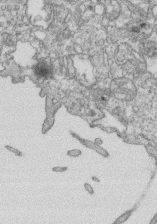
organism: Human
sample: HeLa cell HIV synapse